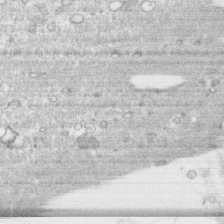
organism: Human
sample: CRL-1474